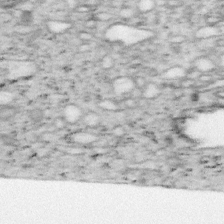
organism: Mouse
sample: OT-I killer T cells with ID8 ovarian cancer cells